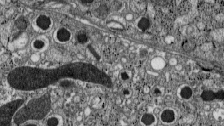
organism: C57BL Mouse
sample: Pancreatic islet